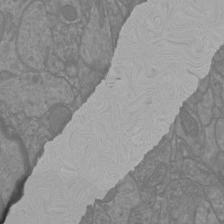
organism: Mouse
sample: Cortical neurons